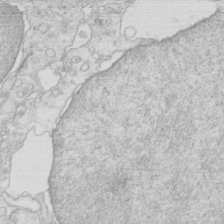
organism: Mouse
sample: Multiciliated cells